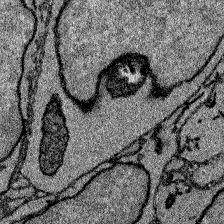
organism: Zebrafish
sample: Larval olfactory bulb